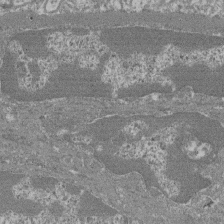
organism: Mouse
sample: Glomerulus